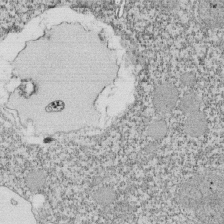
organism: Tetrahymena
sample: Cilia in tetrahymena